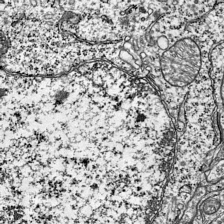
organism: Mouse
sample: Visual Cortex